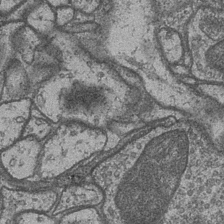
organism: Drosophila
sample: Optic medulla